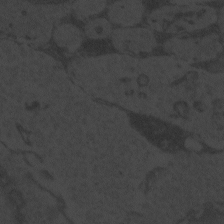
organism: Zebrafish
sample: Macrophage infected with Toxoplasma gondii